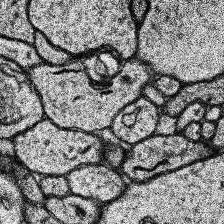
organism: Human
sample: Temporal Lobe